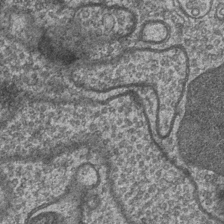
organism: Drosophila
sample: Optic medulla